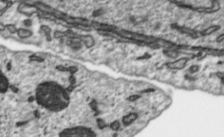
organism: Toxoplasma gondii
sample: Parasites in a vacuole inside a host cell